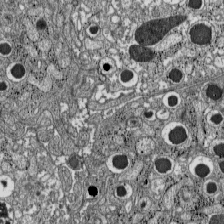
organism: C57BL Mouse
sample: Pancreatic islet